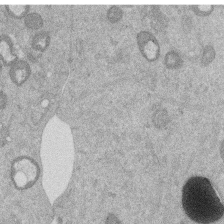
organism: Mouse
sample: Dividing mouse embryo 1 cell stage